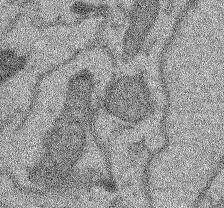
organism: Human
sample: HeLa cells